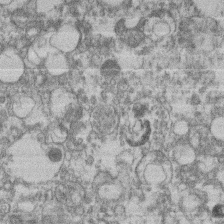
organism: Mouse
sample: T cell stromal cell synapse